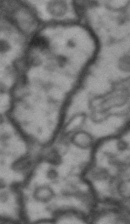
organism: Drosophila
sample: Brain